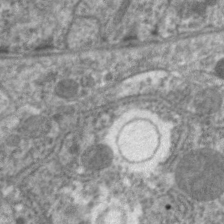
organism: C. elegans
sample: Pharynx